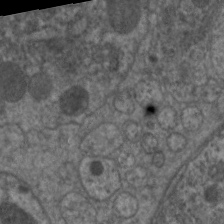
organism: C. elegans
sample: Pharynx